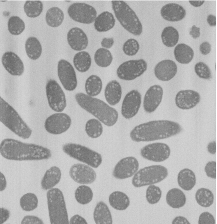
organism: E. coli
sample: Bacterial nucleoid